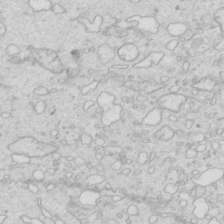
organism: Mouse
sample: Multiciliated cells